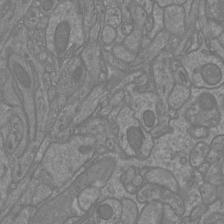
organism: Mouse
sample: Cortical neurons